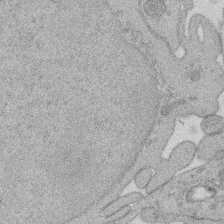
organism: Rat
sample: Salivary granule